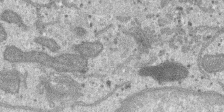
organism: Human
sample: Lung epithelial cells infected with SARS-CoV-2